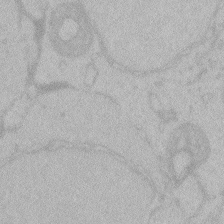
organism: Zebrafish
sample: Macrophage infected with Toxoplasma gondii